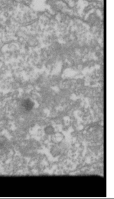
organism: Drosophila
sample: Cell division; meiosis; drosophila spermatocytes